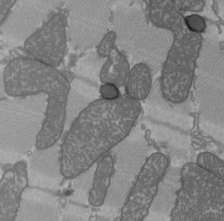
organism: C57BL Mouse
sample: Heart